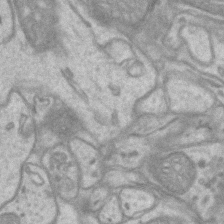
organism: Mouse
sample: CA1 Hippocampus